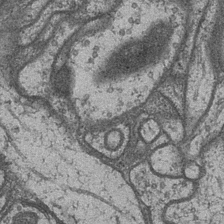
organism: Drosophila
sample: Optic medulla